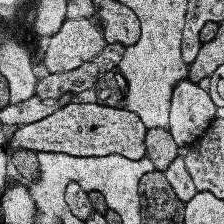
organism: Human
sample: Temporal Lobe